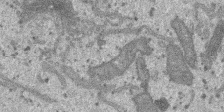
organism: Human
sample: Lung epithelial cells infected with SARS-CoV-2